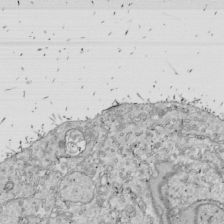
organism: Drosophila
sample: Cell division; meiosis; drosophila spermatocytes